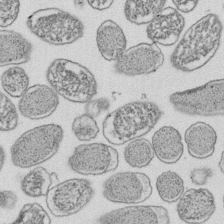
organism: E. coli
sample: Bacterial nucleoid